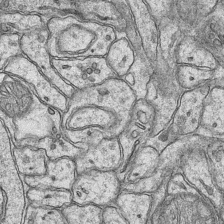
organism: Mouse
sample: CA1 Hippocampus